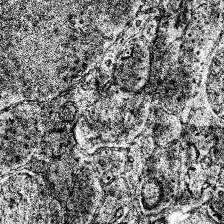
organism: Human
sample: Temporal Lobe